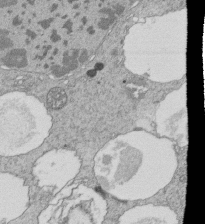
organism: Tetrahymena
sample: Cilia in tetrahymena